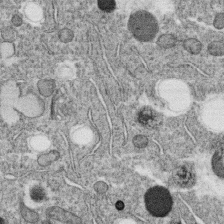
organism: C. elegans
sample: C. elegans oocyte; sperm cells